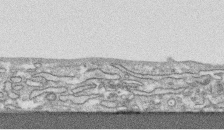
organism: Human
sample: CRL-1474